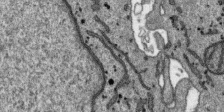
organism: Human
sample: Lung epithelial cells, uninfected (mock) control